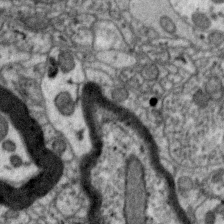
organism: Zebra finch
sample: Brain